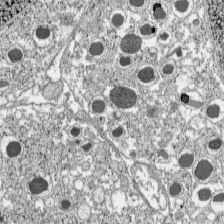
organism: C57BL Mouse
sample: Pancreatic islet